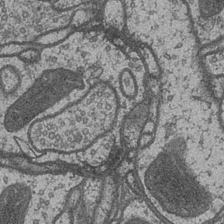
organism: Drosophila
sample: Optic medulla